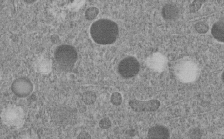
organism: C. elegans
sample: C. elegans embryo early stage